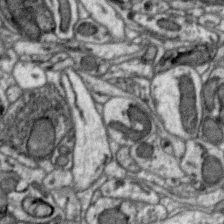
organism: Zebra finch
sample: Brain